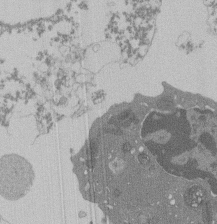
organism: Mouse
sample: Activated Pmel transgenic CD8+ T Cells